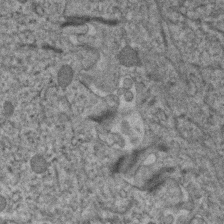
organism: Human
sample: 1205lu cells